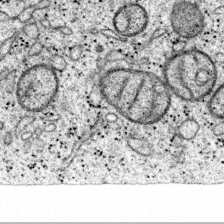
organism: Human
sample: HeLa cells